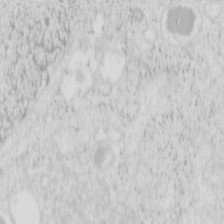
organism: Mouse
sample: Pancreas